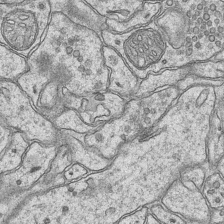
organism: Mouse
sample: CA1 Hippocampus